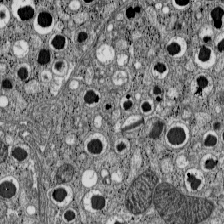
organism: C57BL Mouse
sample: Pancreatic islet